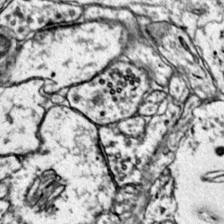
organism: Mouse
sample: Primary visual cortex